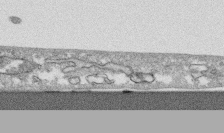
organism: Human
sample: CRL-1474